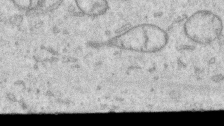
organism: Human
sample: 1205lu cells